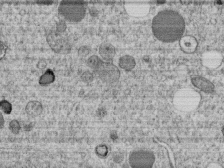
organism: C. elegans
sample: C. elegans embryo early stage